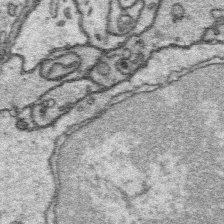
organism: Platynereis dumerilii